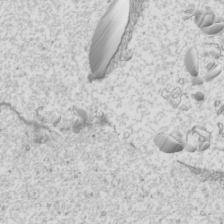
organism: Mouse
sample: Cilia; mouse epididymis